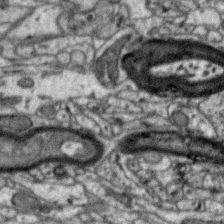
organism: Zebra finch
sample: Brain